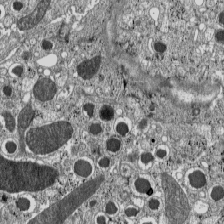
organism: C57BL Mouse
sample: Pancreatic islet